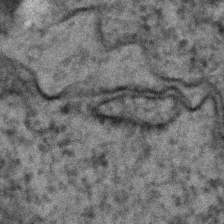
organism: C. elegans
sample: C. elegans embryo